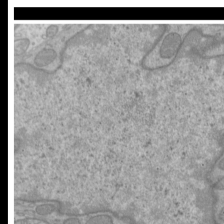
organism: Mouse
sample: Cilia; mouse epididymis